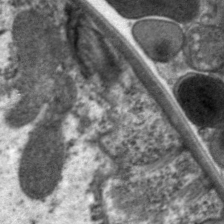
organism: C. elegans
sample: Pharynx